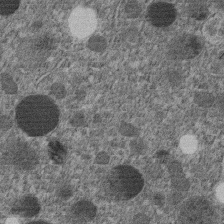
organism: C. elegans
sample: C. elegans embryo early stage